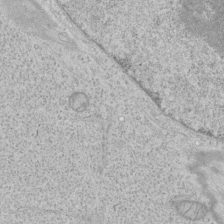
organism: Human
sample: Mitochondria in HCT116 cells